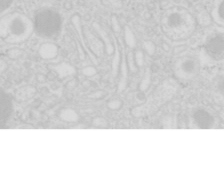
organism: Mouse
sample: Pancreas